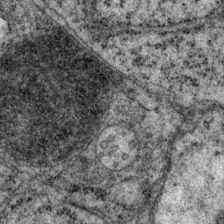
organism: P. pacificus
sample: Pharynx